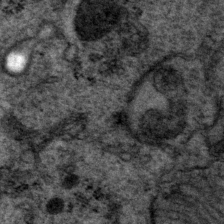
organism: P. pacificus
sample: Pharynx